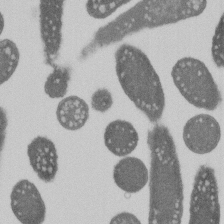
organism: E. coli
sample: Bacterial nucleoid